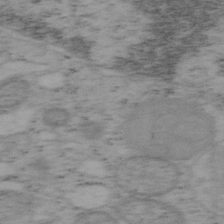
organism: Mouse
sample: OT-I killer T cells with ID8 ovarian cancer cells